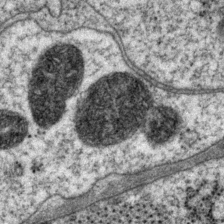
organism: P. pacificus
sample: Pharynx